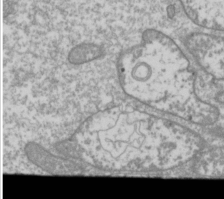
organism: Drosophila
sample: Cell division; meiosis; drosophila spermatocytes